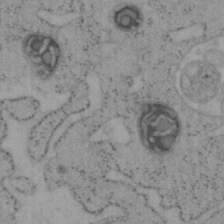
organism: Mouse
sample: OT-I killer T cells with ID8 ovarian cancer cells